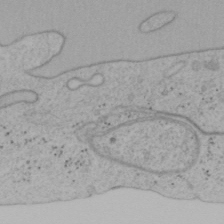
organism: Human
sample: HeLa cells